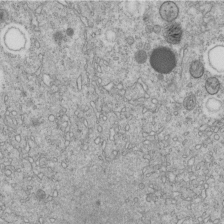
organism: C. elegans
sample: C. elegans embryo early stage